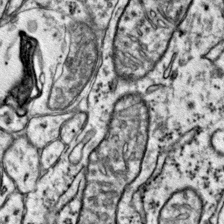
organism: Mouse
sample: Primary visual cortex